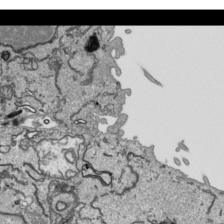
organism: Human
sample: Mitochondria in HCT116 cells